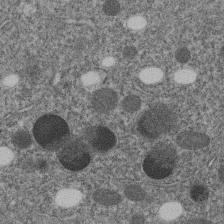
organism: C. elegans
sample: C. elegans embryo early stage